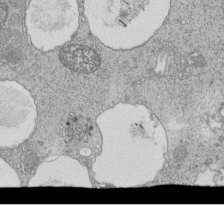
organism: Tetrahymena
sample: Cilia in tetrahymena